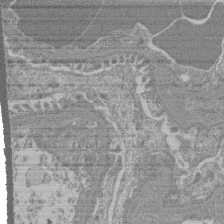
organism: Mouse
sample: Glomerulus